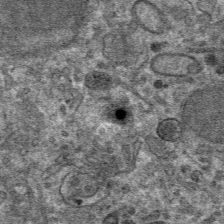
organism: Mouse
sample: Mouse hepatocytes